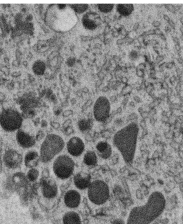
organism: C. elegans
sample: C. elegans oocyte; sperm cells